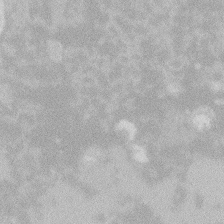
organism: Zebrafish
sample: Macrophage